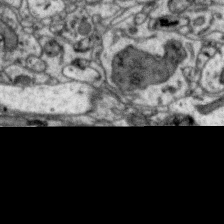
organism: Zebra finch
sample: Brain